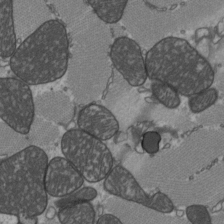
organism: C57BL Mouse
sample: Heart